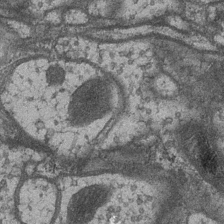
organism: Drosophila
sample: Optic medulla